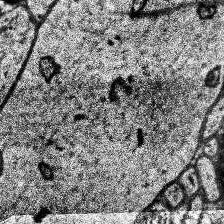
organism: Human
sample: Temporal Lobe